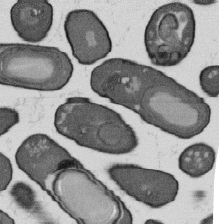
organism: B. subtilis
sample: Bacterial spore